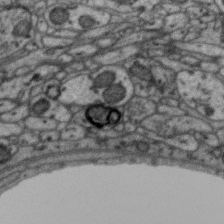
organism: Zebra finch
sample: Brain